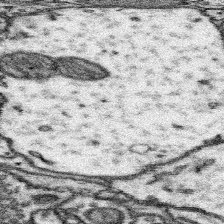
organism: Mouse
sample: Somatosensory cortex neuropil